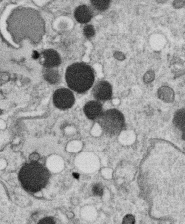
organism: C. elegans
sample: C. elegans oocyte; sperm cells